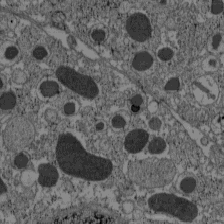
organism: C57BL Mouse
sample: Pancreatic islet